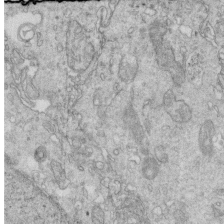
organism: Mouse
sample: Multiciliated cells